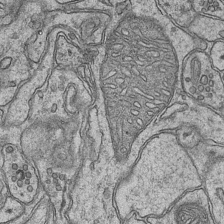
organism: Mouse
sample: CA1 Hippocampus